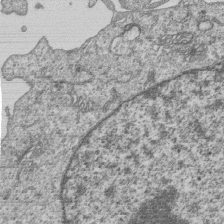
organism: Human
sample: MDA-MB-231 cells